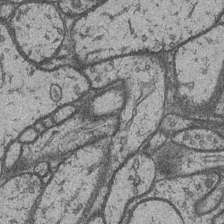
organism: Drosophila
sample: Optic medulla